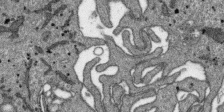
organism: Human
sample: Lung epithelial cells, uninfected (mock) control